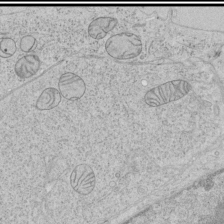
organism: Human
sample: Mitochondria in HCT116 cells